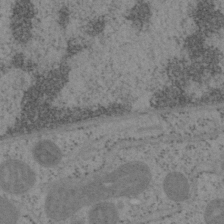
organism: Mouse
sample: OT-I killer T cells with ID8 ovarian cancer cells